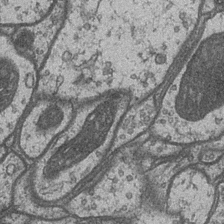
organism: Drosophila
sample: Optic medulla